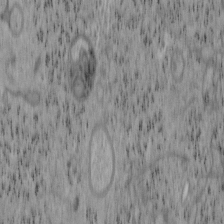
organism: Human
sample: HeLa cells